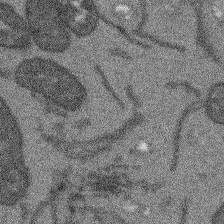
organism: Arabidopsis thaliana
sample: Root tip